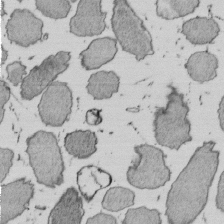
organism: E. coli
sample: Bacterial nucleoid